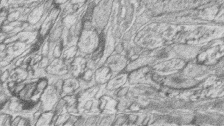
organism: Zebrafish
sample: synaptic ribbons in rod cells and cone cells